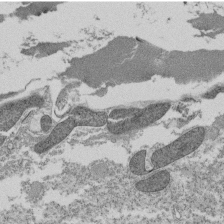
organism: Tetrahymena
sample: Cilia in tetrahymena